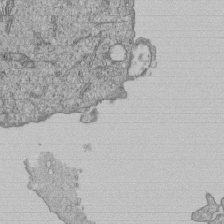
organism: Human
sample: MDA-MB-231 cells